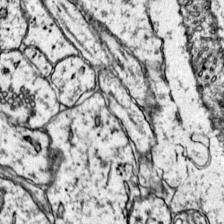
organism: Mouse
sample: Primary visual cortex